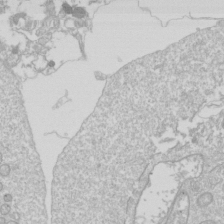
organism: Drosophila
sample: Cell division; meiosis; drosophila spermatocytes